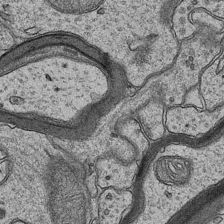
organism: Mouse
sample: CA1 Hippocampus